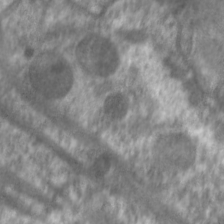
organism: C. elegans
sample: Pharynx